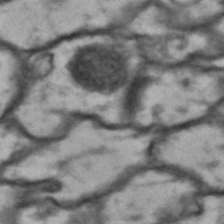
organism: Drosophila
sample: Brain